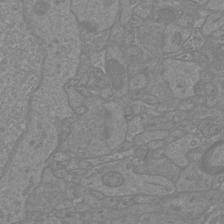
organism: Mouse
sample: Cortical neurons